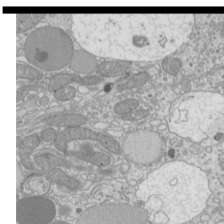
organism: Mouse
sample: Cilia; mouse epididymis